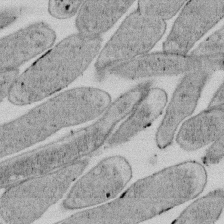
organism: E. coli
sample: Bacterial nucleoid